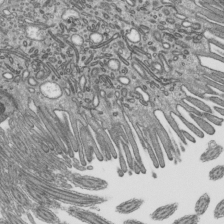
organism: Mouse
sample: Mouse epididymis efferent ductule cilia